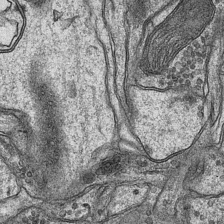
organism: Mouse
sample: CA1 Hippocampus